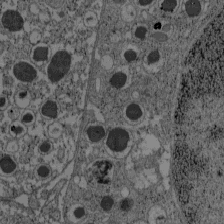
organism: C57BL Mouse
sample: Pancreatic islet